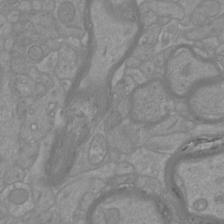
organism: Mouse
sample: Cortical neurons